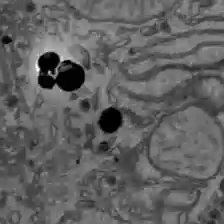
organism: C57BL Mouse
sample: Liver